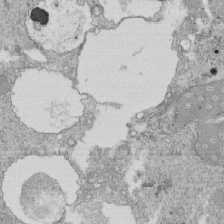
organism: Tetrahymena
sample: Cilia in tetrahymena